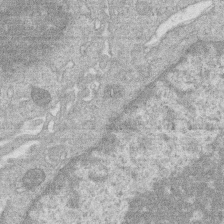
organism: Human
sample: Macrophage cells